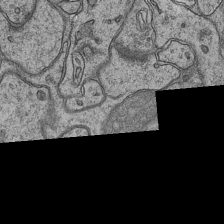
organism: Mouse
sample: CA1 Hippocampus